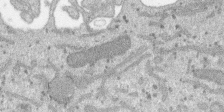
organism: Human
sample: Lung epithelial cells infected with SARS-CoV-2